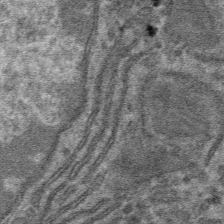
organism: Mouse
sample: Mouse hepatocytes